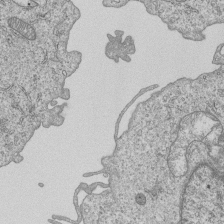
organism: Human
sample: MDA-MB-231 cells